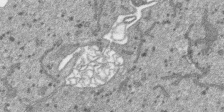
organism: Human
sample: Lung epithelial cells infected with SARS-CoV-2